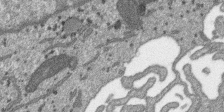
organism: Human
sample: Lung epithelial cells infected with SARS-CoV-2